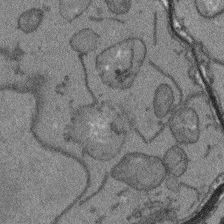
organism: Arabidopsis thaliana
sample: Root tip